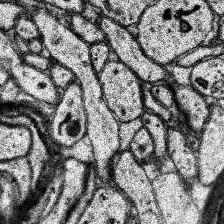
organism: Human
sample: Temporal Lobe